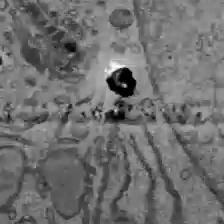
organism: C57BL Mouse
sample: Liver